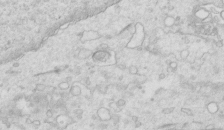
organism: Mouse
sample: Multiciliated cells